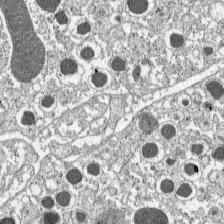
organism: C57BL Mouse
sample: Pancreatic islet